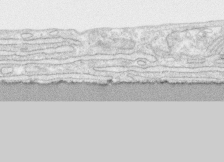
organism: Human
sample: CRL-1474